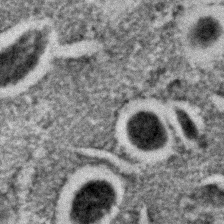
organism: C. elegans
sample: C. elegans embryo